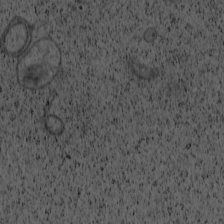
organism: African green monkey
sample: COS-7 cells